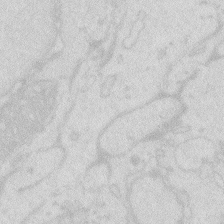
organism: Zebrafish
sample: Macrophage